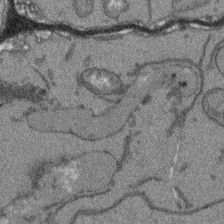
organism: Arabidopsis thaliana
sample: Root tip